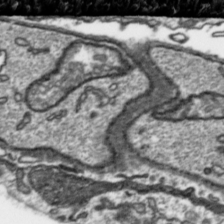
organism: Toxoplasma gondii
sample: Parasites in a vacuole inside a host cell